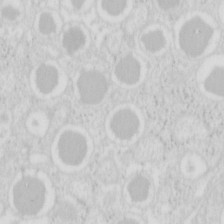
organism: Mouse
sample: Pancreas